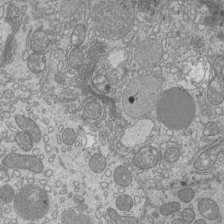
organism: Mouse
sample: Cilia; mouse epididymis